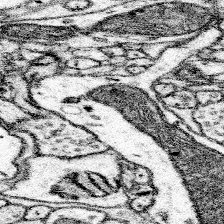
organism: Mouse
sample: Somatosensory cortex neuropil